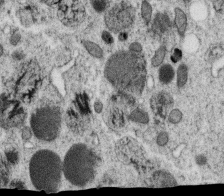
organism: C. elegans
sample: C. elegans oocyte; sperm cells